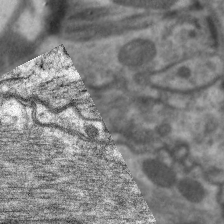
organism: C. elegans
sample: Pharynx